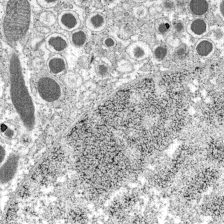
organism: C57BL Mouse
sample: Pancreatic islet